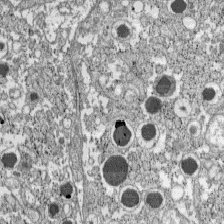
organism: C57BL Mouse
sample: Pancreatic islet